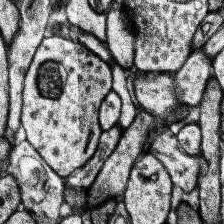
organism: Human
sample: Temporal Lobe